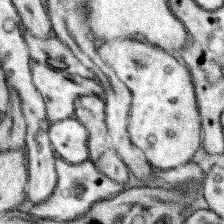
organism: Mouse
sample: Somatosensory cortex neuropil